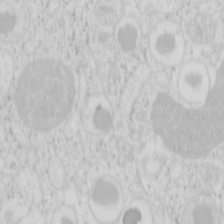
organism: Mouse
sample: Pancreas